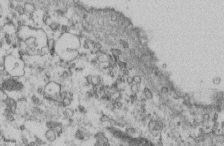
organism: Mouse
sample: Cilia; retinal pigment epithelium